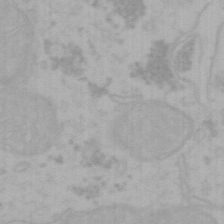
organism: Mouse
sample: Choroid plexus